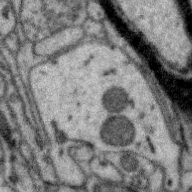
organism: Zebra finch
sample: Brain